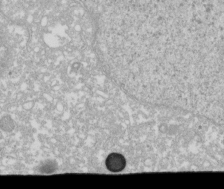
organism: Xenopus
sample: Cilia; centrioles in frog embryo cells